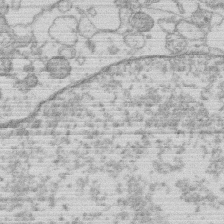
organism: Human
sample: Macrophage cells